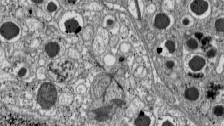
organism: C57BL Mouse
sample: Pancreatic islet